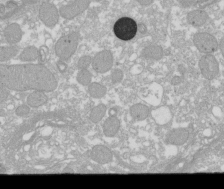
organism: Xenopus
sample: Cilia; centrioles in frog embryo cells